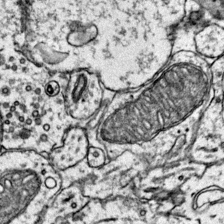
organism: Mouse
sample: Primary visual cortex